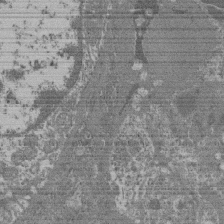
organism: Mouse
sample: Glomerulus